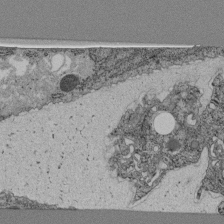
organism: C. elegans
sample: C. elegans pharynx